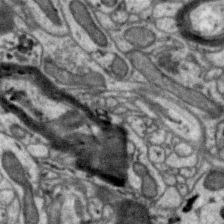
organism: Zebra finch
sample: Brain